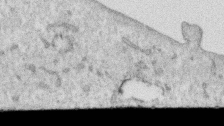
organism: Human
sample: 1205lu cells